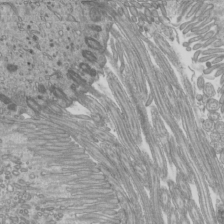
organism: Mouse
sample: Cilia; mouse epididymis